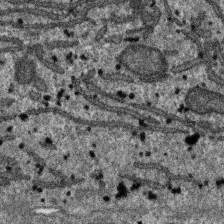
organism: Human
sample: Lung epithelial cells infected with SARS-CoV-2